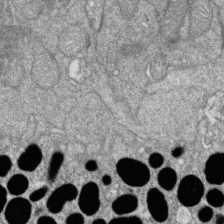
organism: Zebrafish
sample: Cilia; retinal pigment epithelium